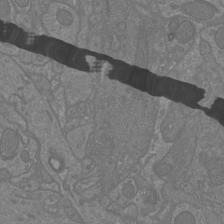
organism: Mouse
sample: Cortical neurons